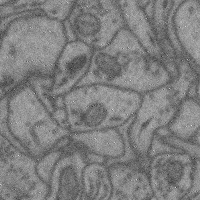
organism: Mouse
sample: Cerebral cortex